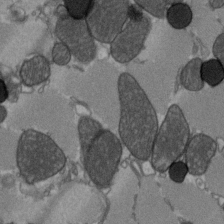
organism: C57BL Mouse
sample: Heart